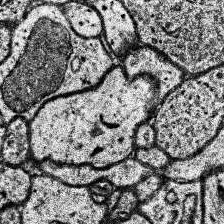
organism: Human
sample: Temporal Lobe